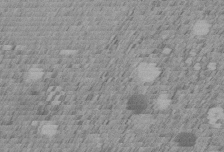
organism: C. elegans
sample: C. elegans embryo early stage